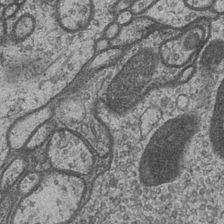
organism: Drosophila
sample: Optic medulla